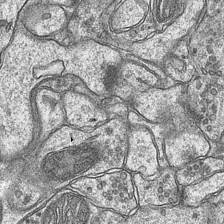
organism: Mouse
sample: CA1 Hippocampus